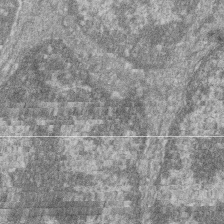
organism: Zebrafish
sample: Cilia; retinal pigment epithelium